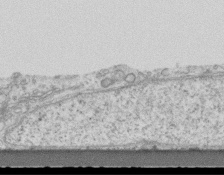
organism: Mouse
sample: Centriole in ependymal cells